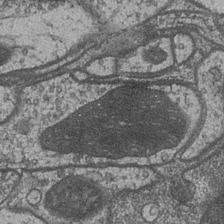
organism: Drosophila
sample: Optic medulla